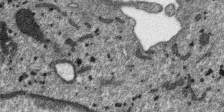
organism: Human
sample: Lung epithelial cells infected with SARS-CoV-2